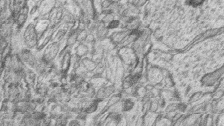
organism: Zebrafish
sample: synaptic ribbons in rod cells and cone cells